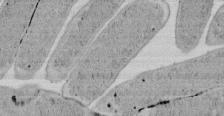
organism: E. coli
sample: Bacterial nucleoid